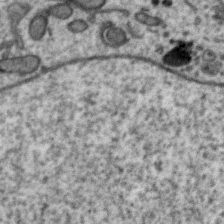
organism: Zebra finch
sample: Brain